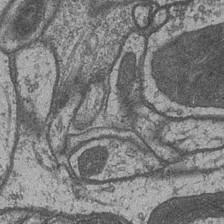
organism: Drosophila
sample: Optic medulla